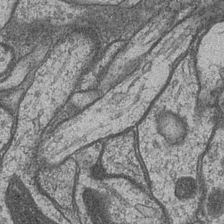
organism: Drosophila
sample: Optic medulla